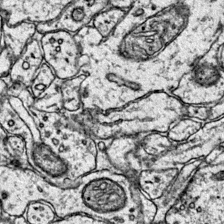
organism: Mouse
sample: Primary visual cortex